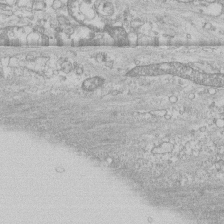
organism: Human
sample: CRL-1474